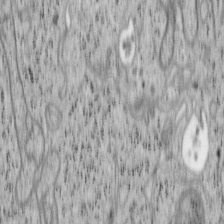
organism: Human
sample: HeLa cells